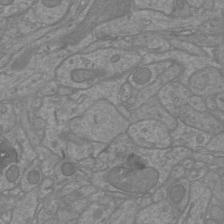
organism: Mouse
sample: Cortical neurons